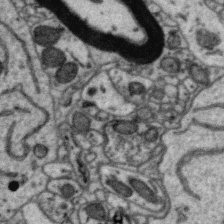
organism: Zebra finch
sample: Brain